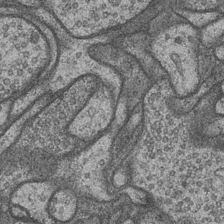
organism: Drosophila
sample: Optic medulla